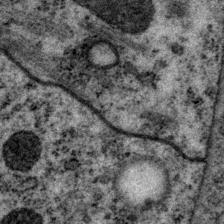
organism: P. pacificus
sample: Pharynx